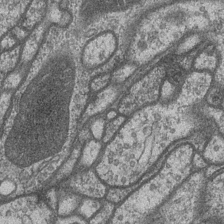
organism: Drosophila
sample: Optic medulla